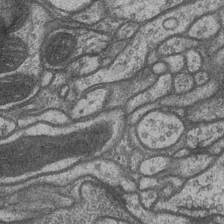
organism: Drosophila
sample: Optic medulla